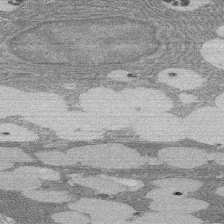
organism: Rat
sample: Salivary granule